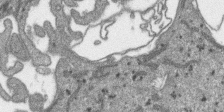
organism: Human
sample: Lung epithelial cells infected with SARS-CoV-2